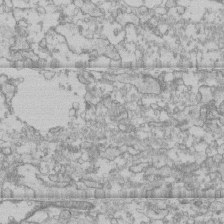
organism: Human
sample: CRL-1474